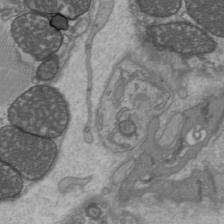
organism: C57BL Mouse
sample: Heart